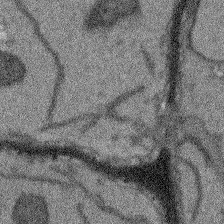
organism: Arabidopsis thaliana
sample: Root tip